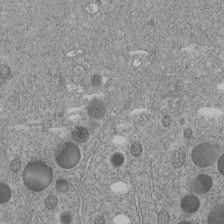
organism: C. elegans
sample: C. elegans embryo early stage